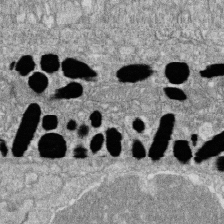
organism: Zebrafish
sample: Cilia; retinal pigment epithelium